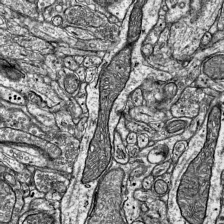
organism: Mouse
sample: Visual Cortex